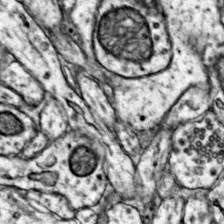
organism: Mouse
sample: Primary visual cortex